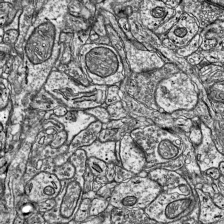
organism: Mouse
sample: Visual Cortex